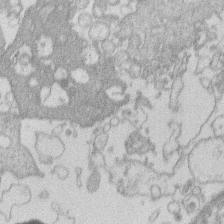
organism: Human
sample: Macrophage cells